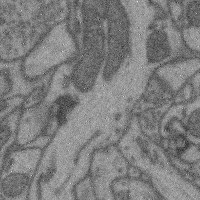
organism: Mouse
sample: Cerebral cortex